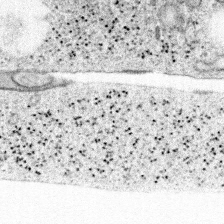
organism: Human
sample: HeLa cells